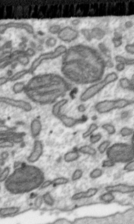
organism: Toxoplasma gondii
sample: Parasites in a vacuole inside a host cell